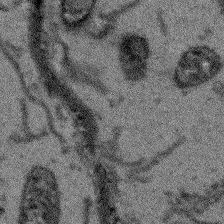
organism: Arabidopsis thaliana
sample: Root tip